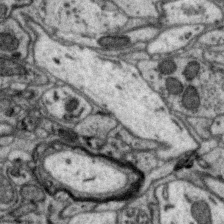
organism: Zebra finch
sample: Brain